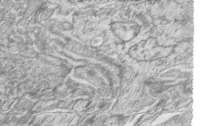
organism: Zebrafish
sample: synaptic ribbons in rod cells and cone cells